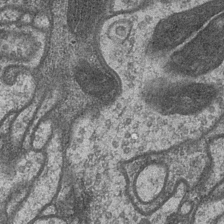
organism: Drosophila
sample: Optic medulla